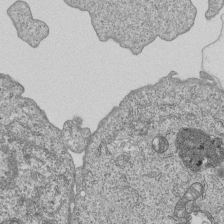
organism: Human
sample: MDA-MB-231 cells